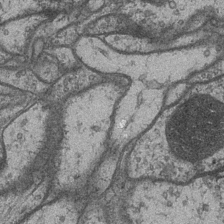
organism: Drosophila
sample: Optic medulla